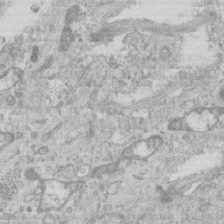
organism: Mouse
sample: Centriole in ependymal cells